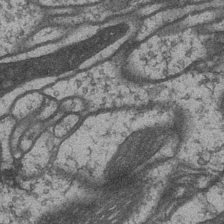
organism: Drosophila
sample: Optic medulla